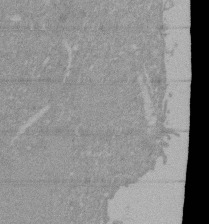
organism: Mouse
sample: ED-1 cell nuclei; centrioles